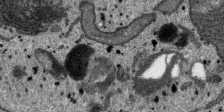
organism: Human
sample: Lung epithelial cells, uninfected (mock) control